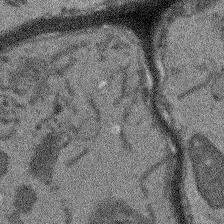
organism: Arabidopsis thaliana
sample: Root tip